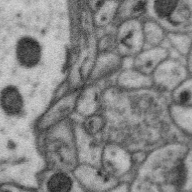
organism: Zebra finch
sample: Brain